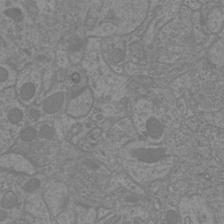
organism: Mouse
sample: Cortical neurons